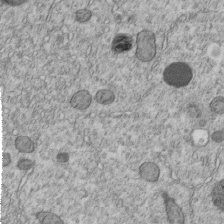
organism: C. elegans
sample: C. elegans embryo early stage